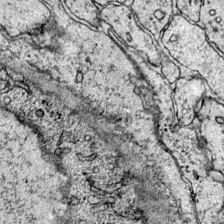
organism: Mouse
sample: Primary visual cortex